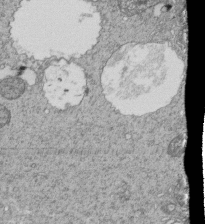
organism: Tetrahymena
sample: Cilia in tetrahymena